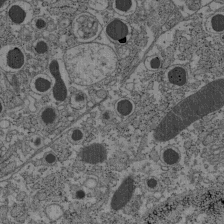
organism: C57BL Mouse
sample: Pancreatic islet